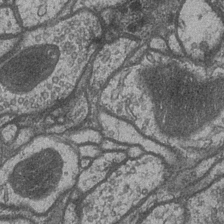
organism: Drosophila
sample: Optic medulla